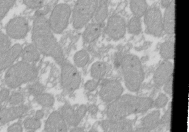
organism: Xenopus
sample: Cilia; centrioles in frog embryo cells